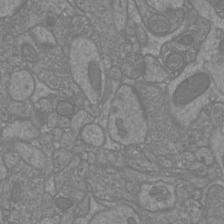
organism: Mouse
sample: Cortical neurons